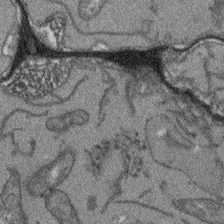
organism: Arabidopsis thaliana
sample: Root tip